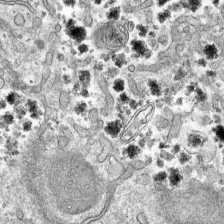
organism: Mouse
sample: Mouse hepatocytes